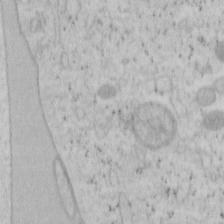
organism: Human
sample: HeLa cells